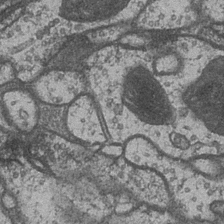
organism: Drosophila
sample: Optic medulla